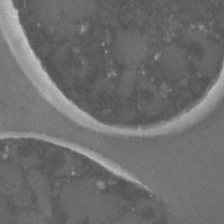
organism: C. elegans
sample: C. elegans embryo